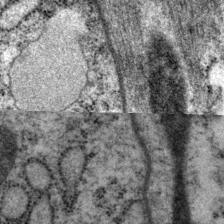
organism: P. pacificus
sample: Pharynx